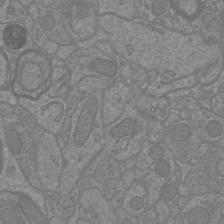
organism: Mouse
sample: Cortical neurons